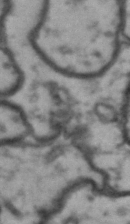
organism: Drosophila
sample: Brain